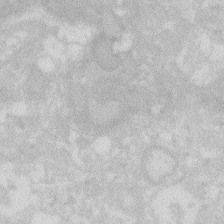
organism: Zebrafish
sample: Macrophage